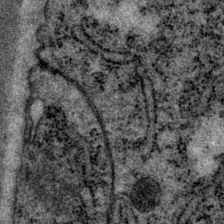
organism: P. pacificus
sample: Pharynx